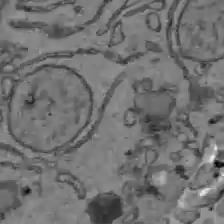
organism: C57BL Mouse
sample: Liver